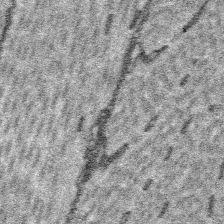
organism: Platynereis dumerilii